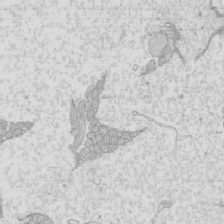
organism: Mouse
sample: Cilia; mouse epididymis